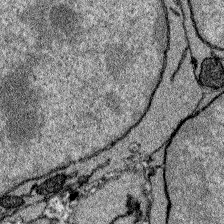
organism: Zebrafish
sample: Larval olfactory bulb